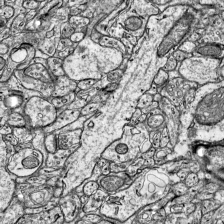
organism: Mouse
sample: Visual Cortex